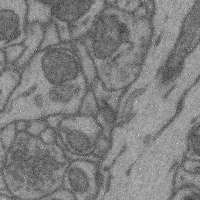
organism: Mouse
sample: Cerebral cortex